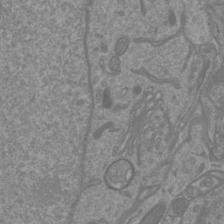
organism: Mouse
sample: Cortical neurons